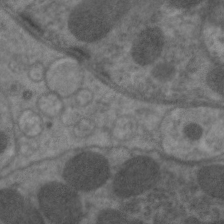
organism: C. elegans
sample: Pharynx